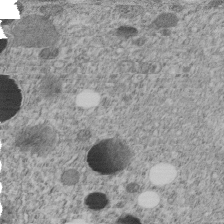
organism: C. elegans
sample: C. elegans embryo early stage